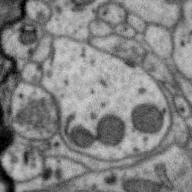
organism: Zebra finch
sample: Brain